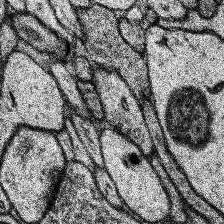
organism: Human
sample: Temporal Lobe